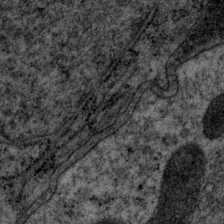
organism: P. pacificus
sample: Pharynx